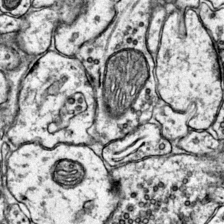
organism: Mouse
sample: Primary visual cortex